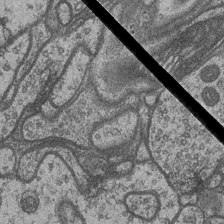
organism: Drosophila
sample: Optic medulla